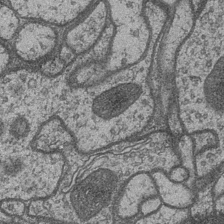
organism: Drosophila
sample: Optic medulla